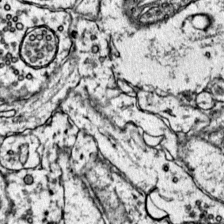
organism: Mouse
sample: Primary visual cortex